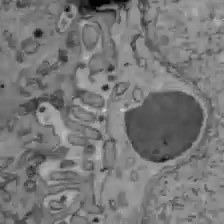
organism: C57BL Mouse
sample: Liver